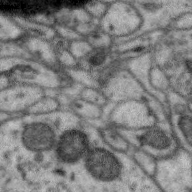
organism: Zebra finch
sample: Brain